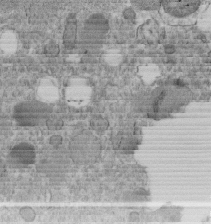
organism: C. elegans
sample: C. elegans embryo early stage